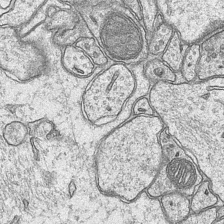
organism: Mouse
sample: CA1 Hippocampus